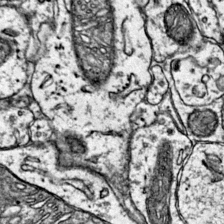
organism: Mouse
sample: Primary visual cortex